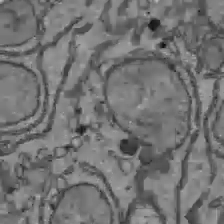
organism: C57BL Mouse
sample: Liver